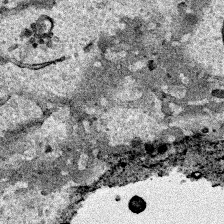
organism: Human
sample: Mitochondria in HCT116 cells